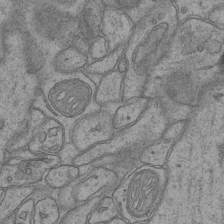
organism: Mouse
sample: CA1 Hippocampus